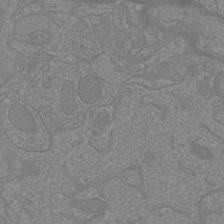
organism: Mouse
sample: Cortical neurons